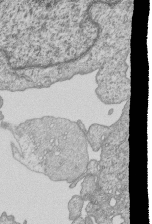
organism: Human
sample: MDA-MB-231 cells